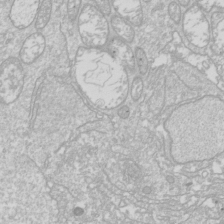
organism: Drosophila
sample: Cell division; meiosis; drosophila spermatocytes